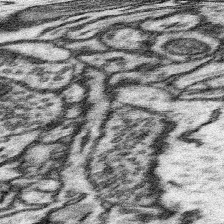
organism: Mouse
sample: Somatosensory cortex neuropil